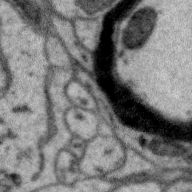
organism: Zebra finch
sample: Brain